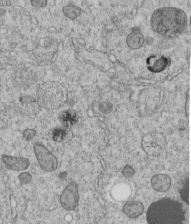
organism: C. elegans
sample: C. elegans embryo early stage